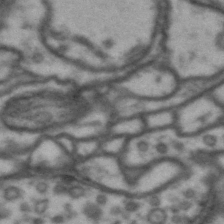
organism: Drosophila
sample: Brain